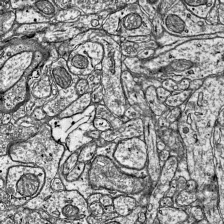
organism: Mouse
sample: Visual Cortex